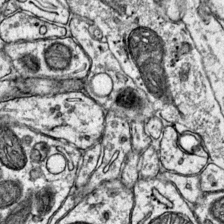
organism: Mouse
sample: Primary visual cortex